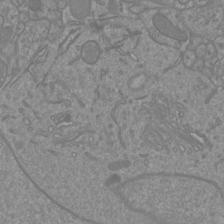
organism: Mouse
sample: Cortical neurons